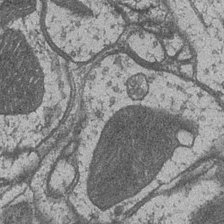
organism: Drosophila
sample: Optic medulla